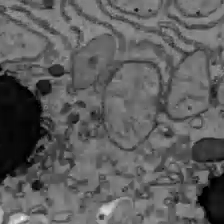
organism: C57BL Mouse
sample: Liver